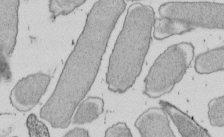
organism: E. coli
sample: Bacterial nucleoid